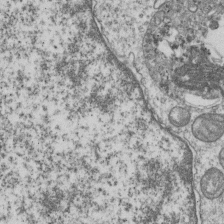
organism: Human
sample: MDA-MB-231 cells